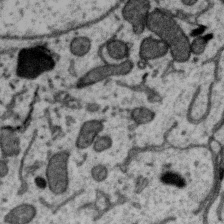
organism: Zebra finch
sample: Brain